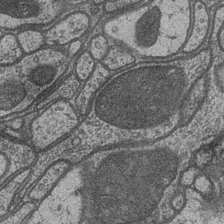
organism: Drosophila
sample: Optic medulla